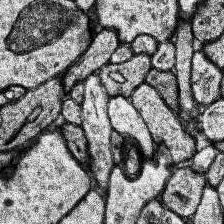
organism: Human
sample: Temporal Lobe